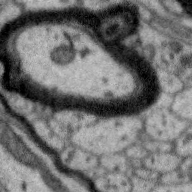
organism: Zebra finch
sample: Brain